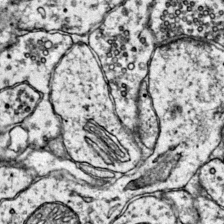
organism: Mouse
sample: Primary visual cortex